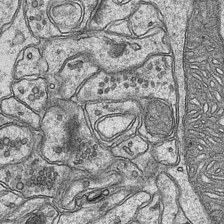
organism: Mouse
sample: CA1 Hippocampus